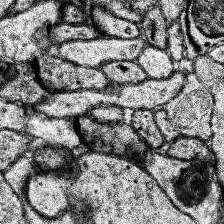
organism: Human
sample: Temporal Lobe